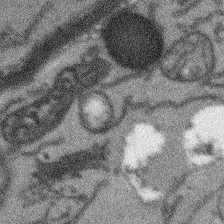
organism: Arabidopsis thaliana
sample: Root tip